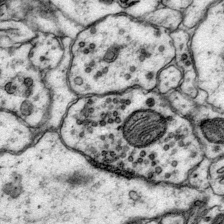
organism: Mouse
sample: Primary visual cortex